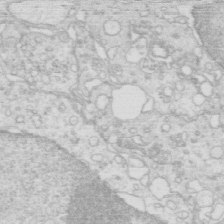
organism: Mouse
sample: Multiciliated cells